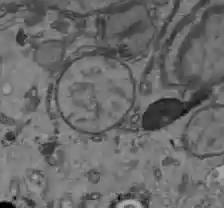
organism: C57BL Mouse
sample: Liver